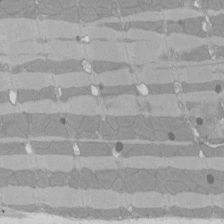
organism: Rat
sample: Left ventricle